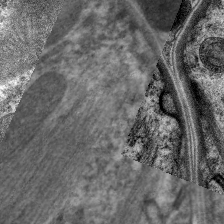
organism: C. elegans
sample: Pharynx